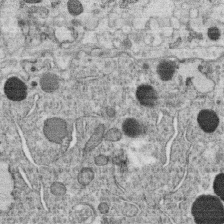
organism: C. elegans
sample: C. elegans oocyte; sperm cells